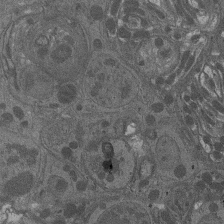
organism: Drosophila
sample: Antenna